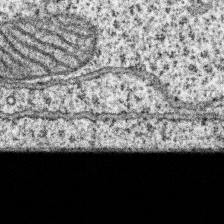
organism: Human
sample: HeLa cells